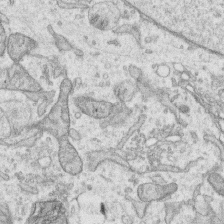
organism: Human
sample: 1205lu cells